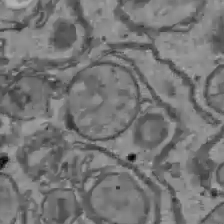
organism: C57BL Mouse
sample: Liver